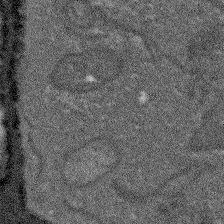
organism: Arabidopsis thaliana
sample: Root tip